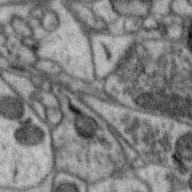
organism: Zebra finch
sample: Brain